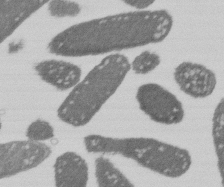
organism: E. coli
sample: Bacterial nucleoid